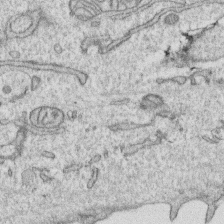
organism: Human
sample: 1205lu cells